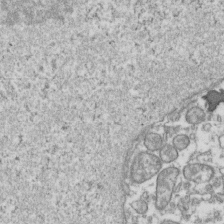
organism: Human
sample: Activated Jurkat CD4+ T cells